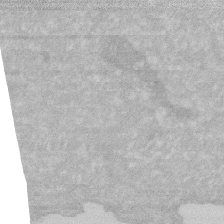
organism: Human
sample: HIV infected U937 cells